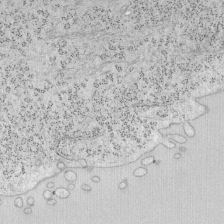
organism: Mouse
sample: OT-I killer T cells with ID8 ovarian cancer cells